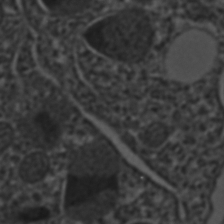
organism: C. elegans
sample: C. elegans embryo